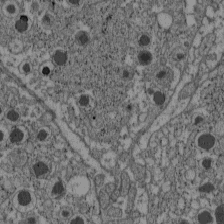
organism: C57BL Mouse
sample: Pancreatic islet